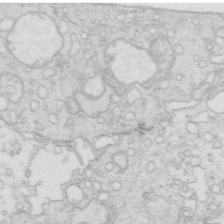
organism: Mouse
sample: Multiciliated cells